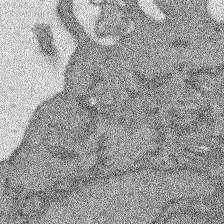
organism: Human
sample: HeLa cells